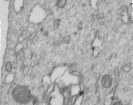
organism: Human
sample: Centriole in RPE cells